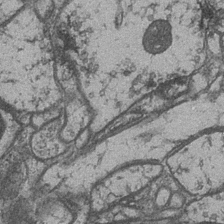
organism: Drosophila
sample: Optic medulla